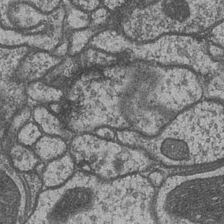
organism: Drosophila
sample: Optic medulla